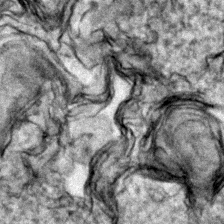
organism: Zebrafish